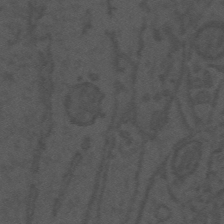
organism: Mouse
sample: Suprachiasmatic nucleus